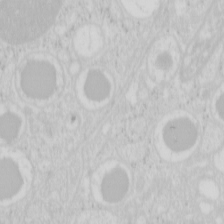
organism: Mouse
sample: Pancreas